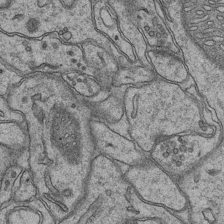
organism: Mouse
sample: CA1 Hippocampus